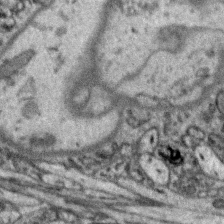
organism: Zebra finch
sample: Brain